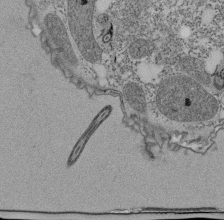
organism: Tetrahymena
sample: Cilia in tetrahymena